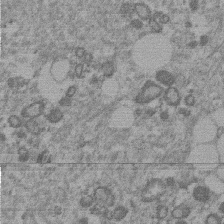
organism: Mouse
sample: Dividing mouse embryo 1 cell stage